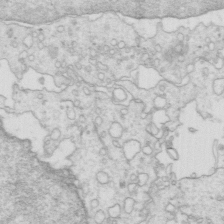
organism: Mouse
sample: Multiciliated cells